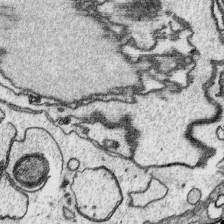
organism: Platynereis dumerilii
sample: Parapodia